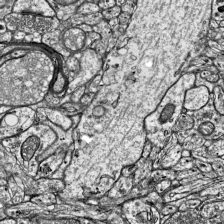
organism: Mouse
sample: Visual Cortex